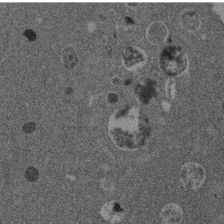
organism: Mouse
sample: Dividing mouse embryo 1 cell stage